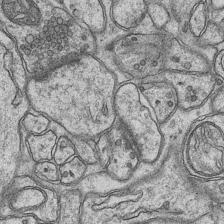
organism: Mouse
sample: CA1 Hippocampus